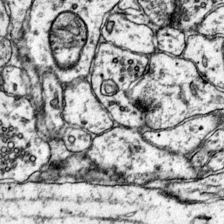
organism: Mouse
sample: Primary visual cortex